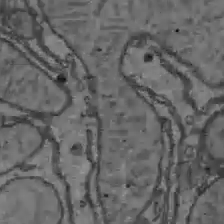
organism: C57BL Mouse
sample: Liver